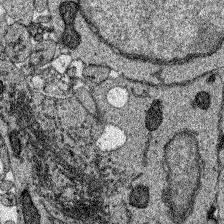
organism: Zebrafish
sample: Larval olfactory bulb